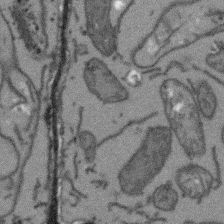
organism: Arabidopsis thaliana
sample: Root tip